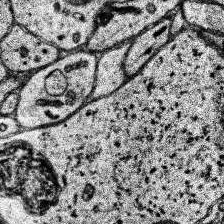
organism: Human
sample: Temporal Lobe